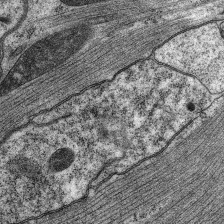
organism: C. elegans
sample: Pharynx